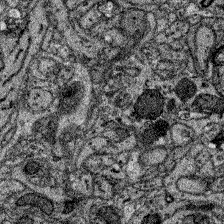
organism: Zebrafish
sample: Larval olfactory bulb